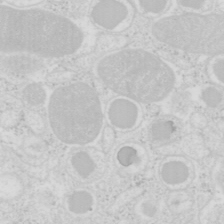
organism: Mouse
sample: Pancreas